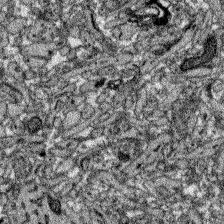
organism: Zebrafish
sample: Larval olfactory bulb